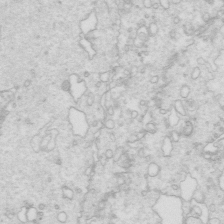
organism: Mouse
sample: Multiciliated cells